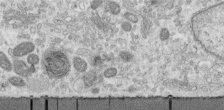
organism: Human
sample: Centriole in RPE cells